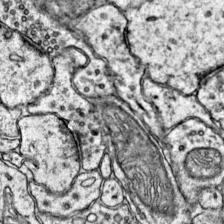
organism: Mouse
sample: Primary visual cortex